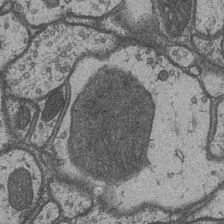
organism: Drosophila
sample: Optic medulla